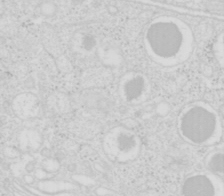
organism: Mouse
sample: Pancreas